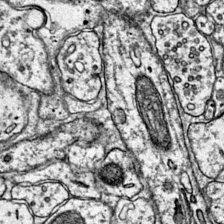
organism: Mouse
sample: Primary visual cortex